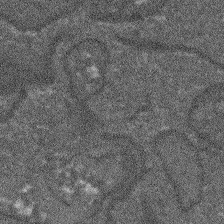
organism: Arabidopsis thaliana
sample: Root tip